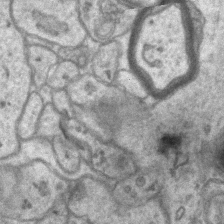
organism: Mouse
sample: CA1 Hippocampus